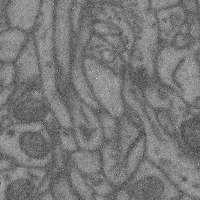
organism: Mouse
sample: Cerebral cortex